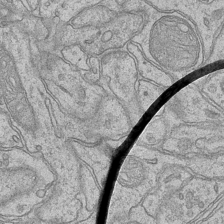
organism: Mouse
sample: CA1 Hippocampus